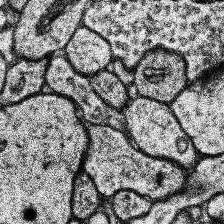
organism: Human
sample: Temporal Lobe